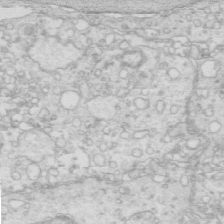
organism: Mouse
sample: Multiciliated cells